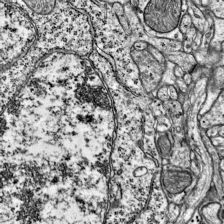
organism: Mouse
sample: Visual Cortex